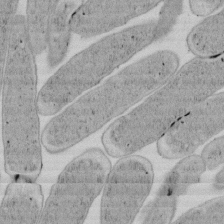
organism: E. coli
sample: Bacterial nucleoid